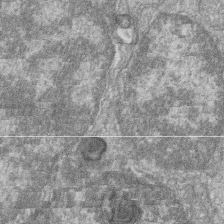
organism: Zebrafish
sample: Cilia; retinal pigment epithelium